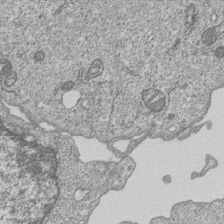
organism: Human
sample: MDA-MB-231 cells